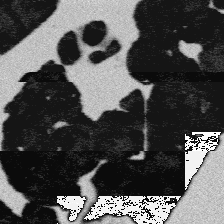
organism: Platynereis dumerilii